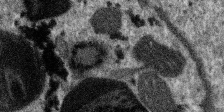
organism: Human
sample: Lung epithelial cells infected with SARS-CoV-2